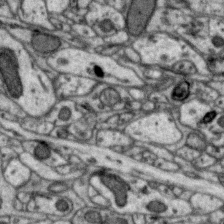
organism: Zebra finch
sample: Brain